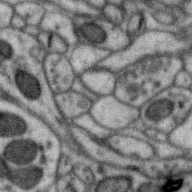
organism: Zebra finch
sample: Brain